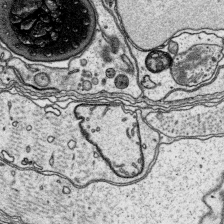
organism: Platynereis dumerilii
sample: Parapodia